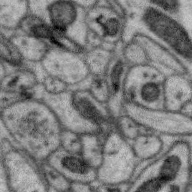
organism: Zebra finch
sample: Brain